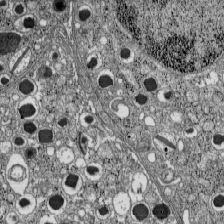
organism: C57BL Mouse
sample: Pancreatic islet